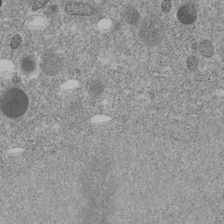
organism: C. elegans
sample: C. elegans embryo early stage